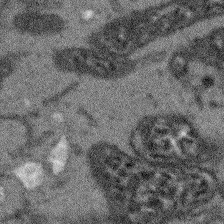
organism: Arabidopsis thaliana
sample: Root tip